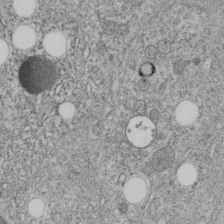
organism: C. elegans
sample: C. elegans embryo early stage